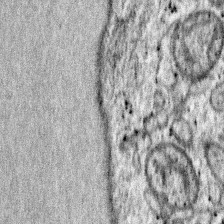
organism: Human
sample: HeLa cells